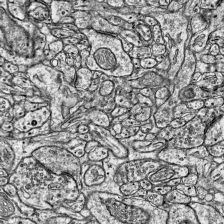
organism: Mouse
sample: Visual Cortex